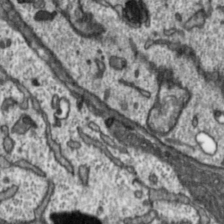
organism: Toxoplasma gondii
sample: Parasites in a vacuole inside a host cell